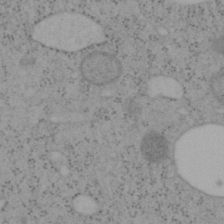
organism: Mouse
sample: OT-I killer T cells with ID8 ovarian cancer cells